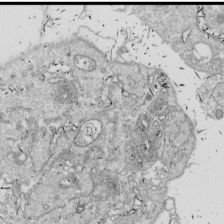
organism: Drosophila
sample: Cell division; meiosis; drosophila spermatocytes